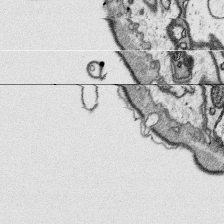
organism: Platynereis dumerilii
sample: Parapodia